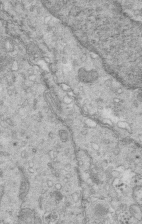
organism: Mouse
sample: Multiciliated cells